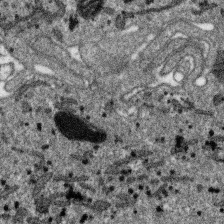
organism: Human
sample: Lung epithelial cells infected with SARS-CoV-2